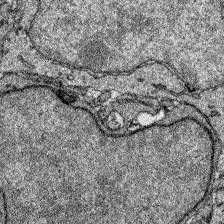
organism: Zebrafish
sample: Larval olfactory bulb